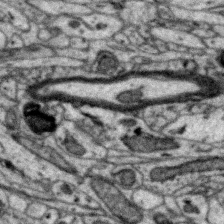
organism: Zebra finch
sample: Brain